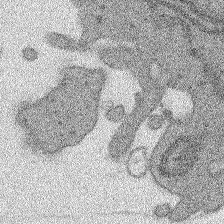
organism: Human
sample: HeLa cells